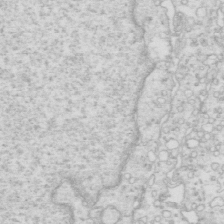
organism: Mouse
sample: Multiciliated cells